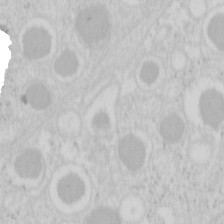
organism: Mouse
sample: Pancreas